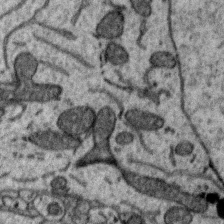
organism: Zebra finch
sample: Brain